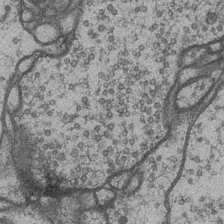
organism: Drosophila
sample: Optic medulla